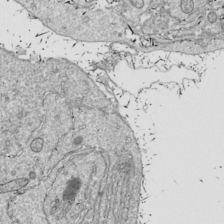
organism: Drosophila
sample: Cell division; meiosis; drosophila spermatocytes